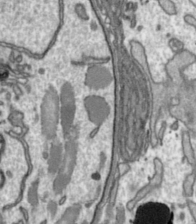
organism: Toxoplasma gondii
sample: Parasites in a vacuole inside a host cell